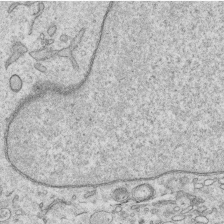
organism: Human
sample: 1205lu cells